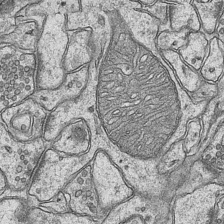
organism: Mouse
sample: CA1 Hippocampus